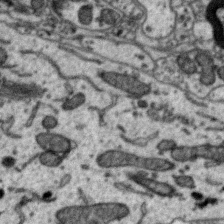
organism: Zebra finch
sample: Brain